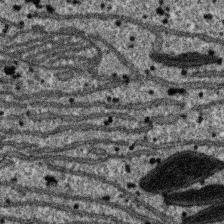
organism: Human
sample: Lung epithelial cells infected with SARS-CoV-2